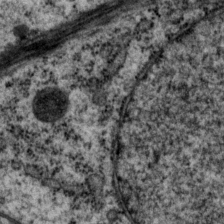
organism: P. pacificus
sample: Pharynx